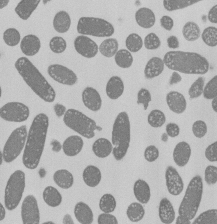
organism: E. coli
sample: Bacterial nucleoid